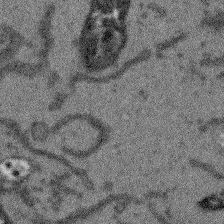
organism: Arabidopsis thaliana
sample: Root tip